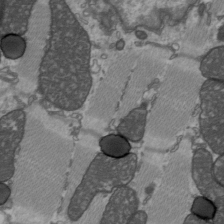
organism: C57BL Mouse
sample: Heart